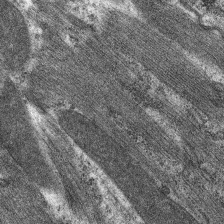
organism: C. elegans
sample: Pharynx